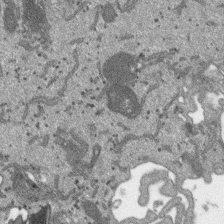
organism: Human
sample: Lung epithelial cells infected with SARS-CoV-2